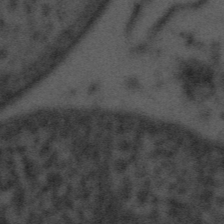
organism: Tuwongella immobilis